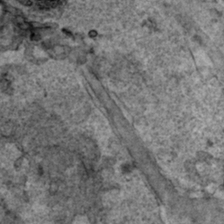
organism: Human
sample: Mitochondria in HCT116 cells